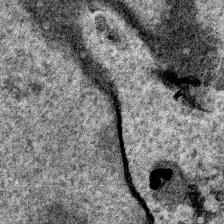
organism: Human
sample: Mitochondria in HCT116 cells